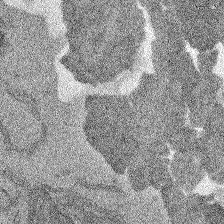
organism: Human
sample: HeLa cells